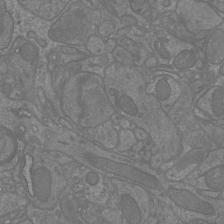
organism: Mouse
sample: Cortical neurons